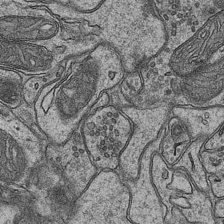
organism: Mouse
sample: CA1 Hippocampus